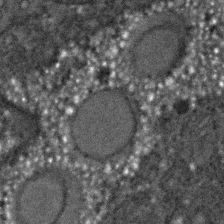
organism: C. elegans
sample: C. elegans embryo